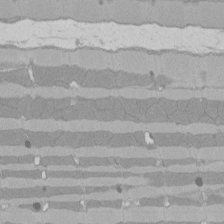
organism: Rat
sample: Left ventricle